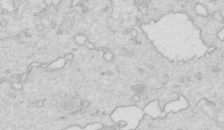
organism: Mouse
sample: Multiciliated cells